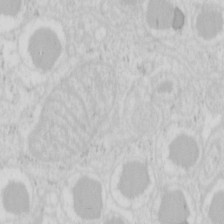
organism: Mouse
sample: Pancreas